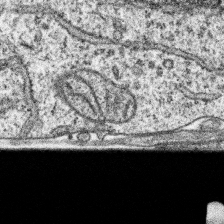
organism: Human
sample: HeLa cells